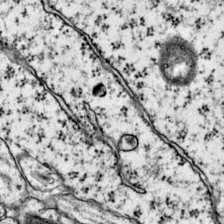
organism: Mouse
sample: Primary visual cortex